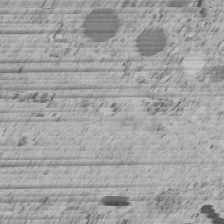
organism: C. elegans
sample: C. elegans embryo early stage